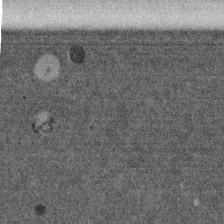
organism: Mouse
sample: Dividing mouse embryo 1 cell stage